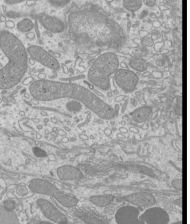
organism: Mouse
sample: Cilia; mouse epididymis